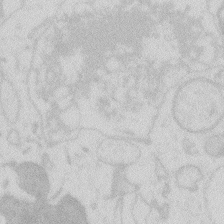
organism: Zebrafish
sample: Macrophage